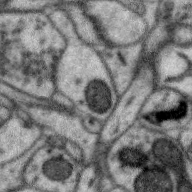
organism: Zebra finch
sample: Brain